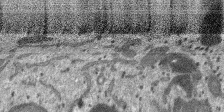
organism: Human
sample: Lung epithelial cells infected with SARS-CoV-2